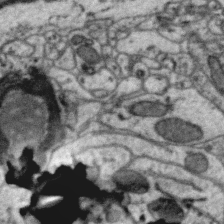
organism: Zebra finch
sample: Brain